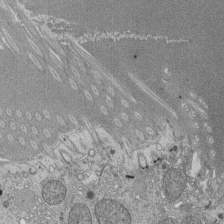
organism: Tetrahymena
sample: Cilia in tetrahymena